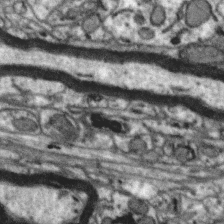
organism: Zebra finch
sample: Brain